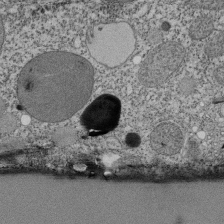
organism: Tetrahymena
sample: Cilia in tetrahymena